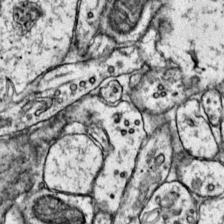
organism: Mouse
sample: Primary visual cortex